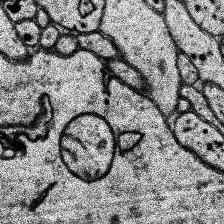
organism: Human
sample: Temporal Lobe